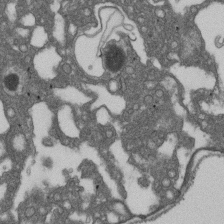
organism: Drosophila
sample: Nephrocyte